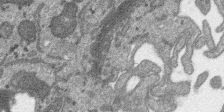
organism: Human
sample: Lung epithelial cells infected with SARS-CoV-2